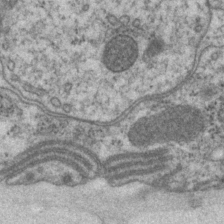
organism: P. pacificus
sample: Pharynx